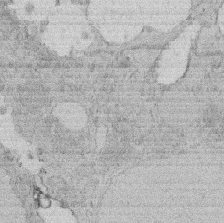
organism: Rat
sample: Salivary granule